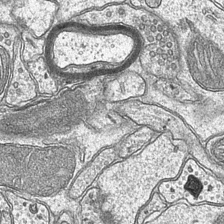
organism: Mouse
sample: CA1 Hippocampus